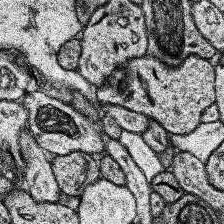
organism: Human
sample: Temporal Lobe